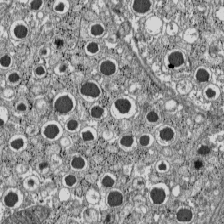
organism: C57BL Mouse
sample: Pancreatic islet